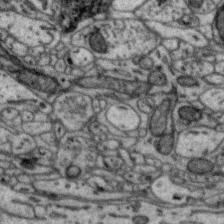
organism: Zebra finch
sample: Brain